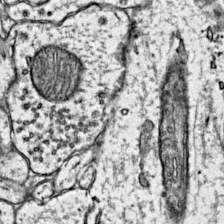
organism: Mouse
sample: Primary visual cortex